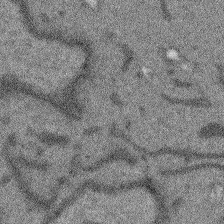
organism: Arabidopsis thaliana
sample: Root tip